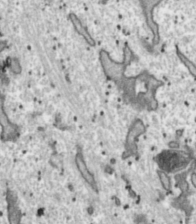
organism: Toxoplasma gondii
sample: Parasites in a vacuole inside a host cell